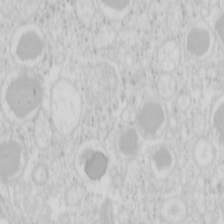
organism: Mouse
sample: Pancreas